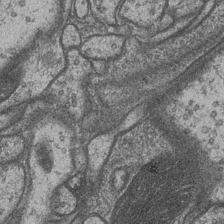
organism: Drosophila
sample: Optic medulla